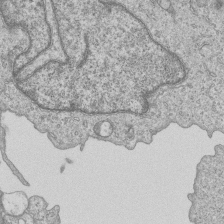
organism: Human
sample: MDA-MB-231 cells